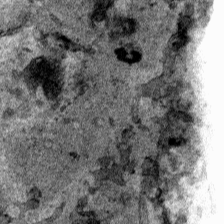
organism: Human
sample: Mitochondria in HCT116 cells